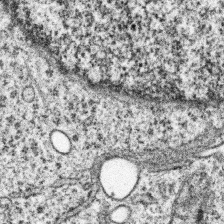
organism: Human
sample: HeLa cells